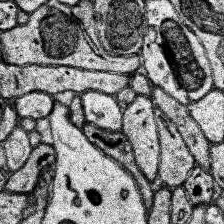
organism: Human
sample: Temporal Lobe